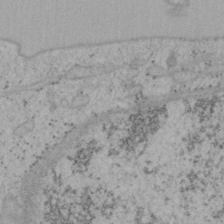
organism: Human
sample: HeLa cells